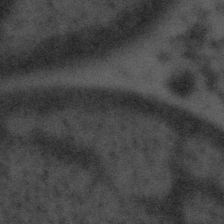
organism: Tuwongella immobilis